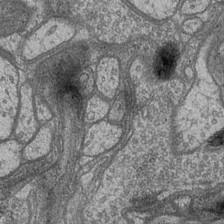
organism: Drosophila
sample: Optic medulla